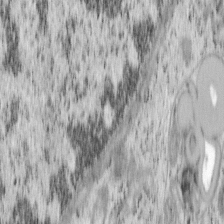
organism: Human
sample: HeLa cells